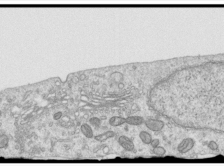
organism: Human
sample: Centriole in RPE cells